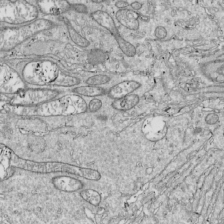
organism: Drosophila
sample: Cell division; meiosis; drosophila spermatocytes